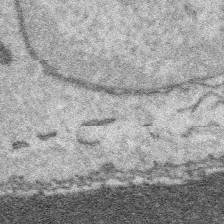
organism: Platynereis dumerilii